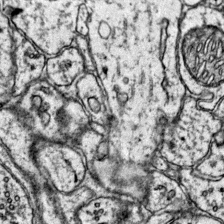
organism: Mouse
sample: Primary visual cortex